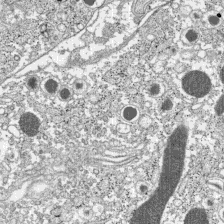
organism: C57BL Mouse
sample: Pancreatic islet